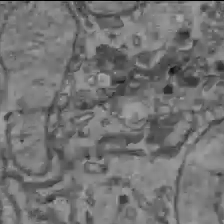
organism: C57BL Mouse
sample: Liver